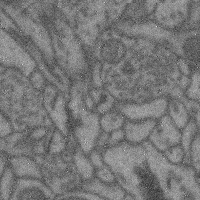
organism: Mouse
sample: Cerebral cortex